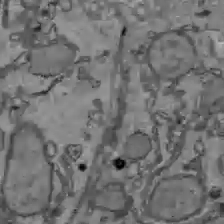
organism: C57BL Mouse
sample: Liver